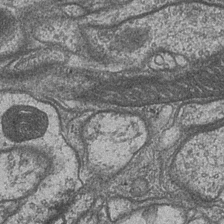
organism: Drosophila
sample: Optic medulla